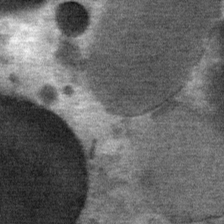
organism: Mouse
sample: Mouse Salivary gland